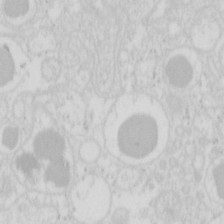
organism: Mouse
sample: Pancreas